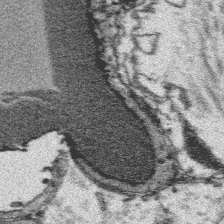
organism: Platynereis dumerilii